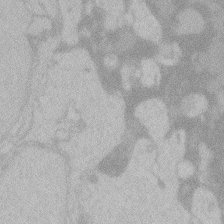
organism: Zebrafish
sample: Macrophage infected with Toxoplasma gondii